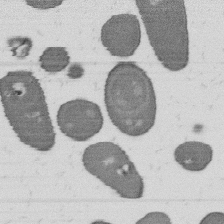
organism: B. subtilis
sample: Bacterial spore